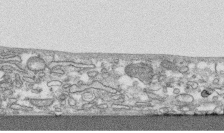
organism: Human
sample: CRL-1474